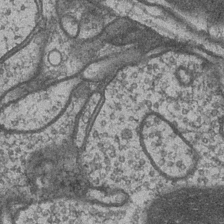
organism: Drosophila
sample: Optic medulla